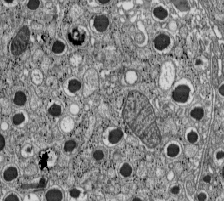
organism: C57BL Mouse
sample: Pancreatic islet